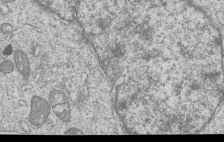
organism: Human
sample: MDA-MB-231 cells